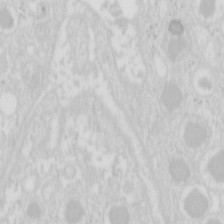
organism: Mouse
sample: Pancreas